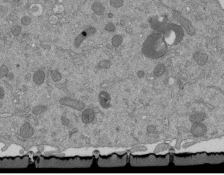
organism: Mouse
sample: ED-1 cell nuclei; centrioles